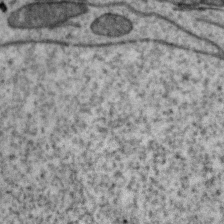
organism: Zebra finch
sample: Brain